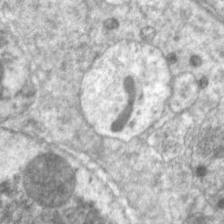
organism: C. elegans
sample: Pharynx